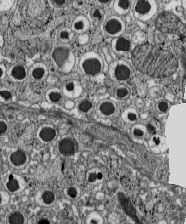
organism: C57BL Mouse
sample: Pancreatic islet